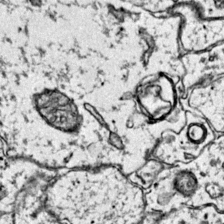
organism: Mouse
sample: Primary visual cortex